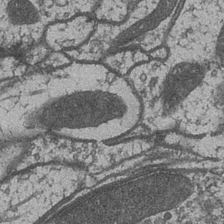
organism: Drosophila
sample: Optic medulla